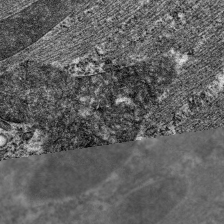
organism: C. elegans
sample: Pharynx